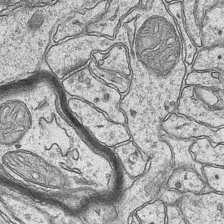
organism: Mouse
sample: CA1 Hippocampus